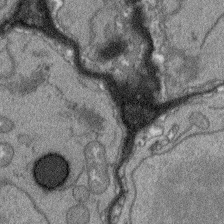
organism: Arabidopsis thaliana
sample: Root tip